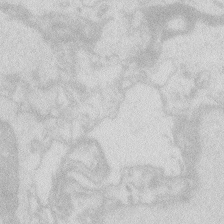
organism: Zebrafish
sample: Macrophage